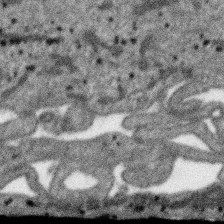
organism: Human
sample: Lung epithelial cells infected with SARS-CoV-2